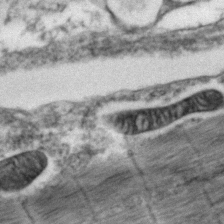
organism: Zebrafish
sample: Zebrafish embryo